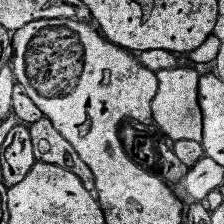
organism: Human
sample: Temporal Lobe